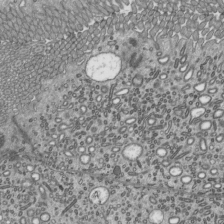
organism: Mouse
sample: Mouse epididymis efferent ductule cilia